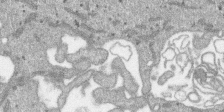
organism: Human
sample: Lung epithelial cells infected with SARS-CoV-2